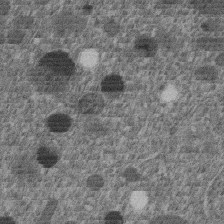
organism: C. elegans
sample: C. elegans embryo early stage